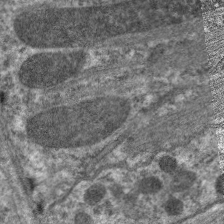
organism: C. elegans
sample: Pharynx